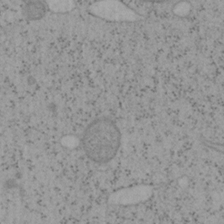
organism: Mouse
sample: OT-I killer T cells with ID8 ovarian cancer cells